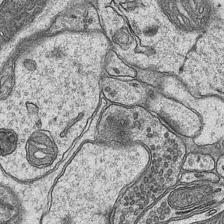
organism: Mouse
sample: CA1 Hippocampus